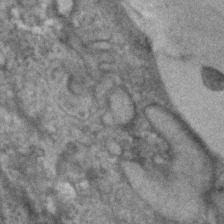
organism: Human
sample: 1205lu cells